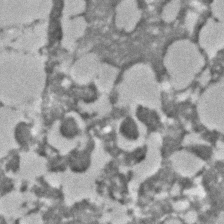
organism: C. elegans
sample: C. elegans embryo